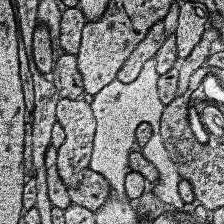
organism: Human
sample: Temporal Lobe